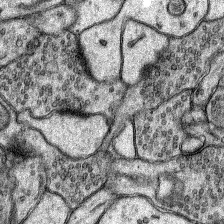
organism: Rat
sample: Hippocampus